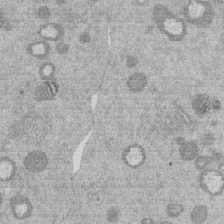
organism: Mouse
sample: Dividing mouse embryo 1 cell stage